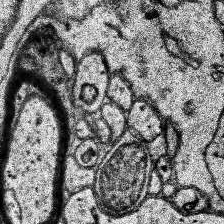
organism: Human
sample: Temporal Lobe